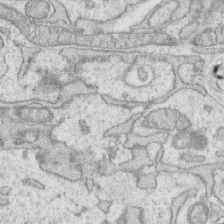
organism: Human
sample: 1205lu cells